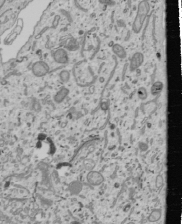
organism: Human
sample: Mitochondria in U2OS cells